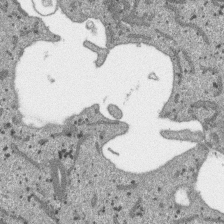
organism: Human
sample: Lung epithelial cells infected with SARS-CoV-2